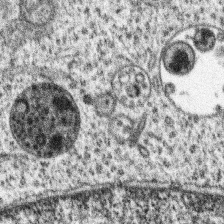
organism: Human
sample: HeLa cells